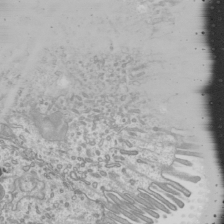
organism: Mouse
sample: Cilia; mouse epididymis